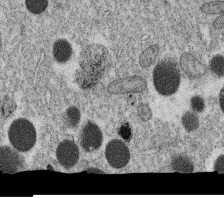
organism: C. elegans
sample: C. elegans oocyte; sperm cells